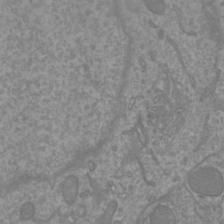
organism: Mouse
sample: Cortical neurons